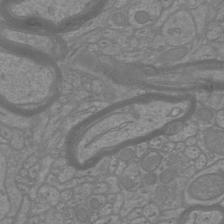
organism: Mouse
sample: Cortical neurons